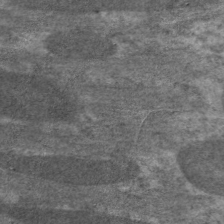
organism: C. elegans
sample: Pharynx